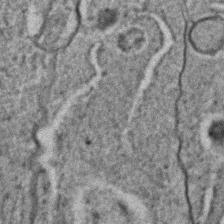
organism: C. elegans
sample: C. elegans embryo